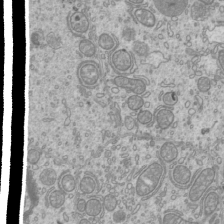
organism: Mouse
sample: Cilia; mouse epididymis